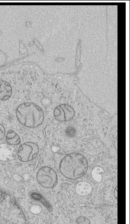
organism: Human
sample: Mitochondria in HCT116 cells